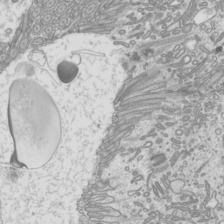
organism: Mouse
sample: Cilia; mouse epididymis